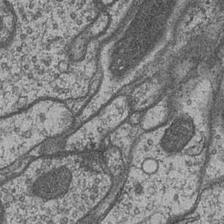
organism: Drosophila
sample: Optic medulla